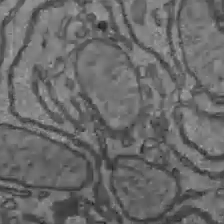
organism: C57BL Mouse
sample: Liver